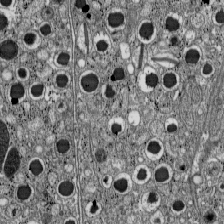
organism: C57BL Mouse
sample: Pancreatic islet